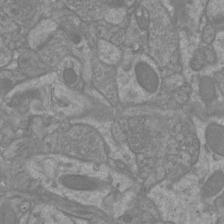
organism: Mouse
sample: Cortical neurons